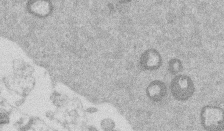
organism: Mouse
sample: Dividing mouse embryo 1 cell stage